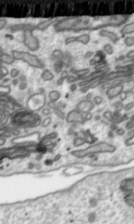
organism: Toxoplasma gondii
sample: Parasites in a vacuole inside a host cell